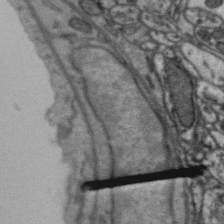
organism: Zebra finch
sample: Brain